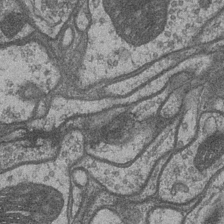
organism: Drosophila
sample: Optic medulla